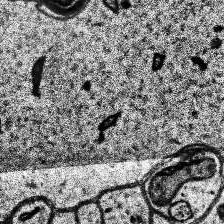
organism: Human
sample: Temporal Lobe